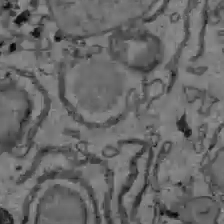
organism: C57BL Mouse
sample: Liver